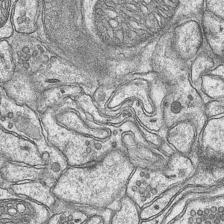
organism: Mouse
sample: CA1 Hippocampus